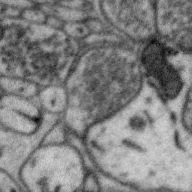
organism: Zebra finch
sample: Brain